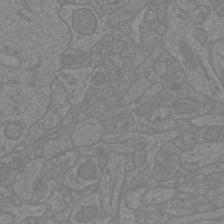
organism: Mouse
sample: Cortical neurons